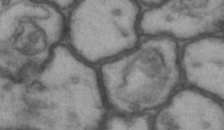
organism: Drosophila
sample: Brain